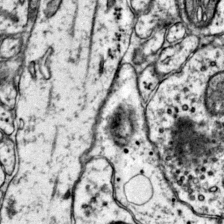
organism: Mouse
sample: Primary visual cortex